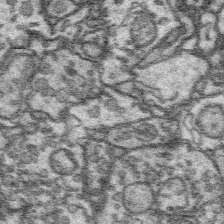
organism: Platynereis dumerilii